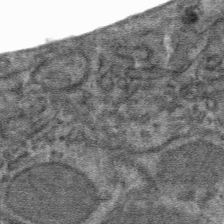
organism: Mouse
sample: Mouse hepatocytes